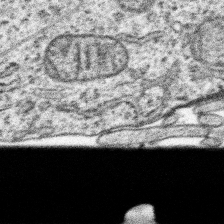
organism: Human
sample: HeLa cells